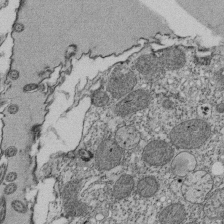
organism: Tetrahymena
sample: Cilia in tetrahymena